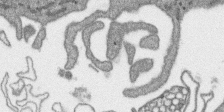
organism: Human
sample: Lung epithelial cells infected with SARS-CoV-2